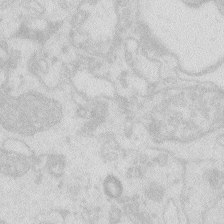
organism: Zebrafish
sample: Macrophage